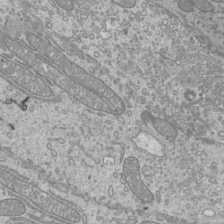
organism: Mouse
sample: Cilia; mouse epididymis